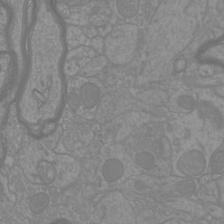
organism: Mouse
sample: Cortical neurons